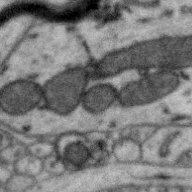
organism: Zebra finch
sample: Brain